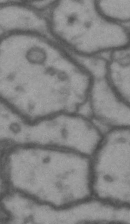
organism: Drosophila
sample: Brain